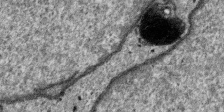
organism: Human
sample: Lung epithelial cells, uninfected (mock) control